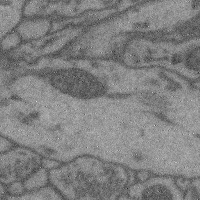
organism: Mouse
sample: Cerebral cortex